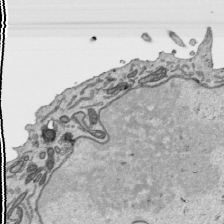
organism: Human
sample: Mitochondria in HCT116 cells